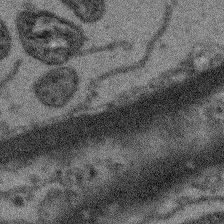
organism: Arabidopsis thaliana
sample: Root tip